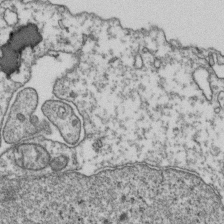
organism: Human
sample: Activated Jurkat CD4+ T cells